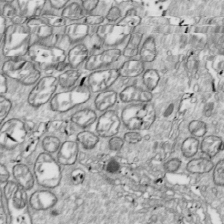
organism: Drosophila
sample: Cell division; meiosis; drosophila spermatocytes